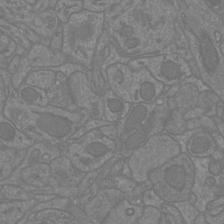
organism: Mouse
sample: Cortical neurons